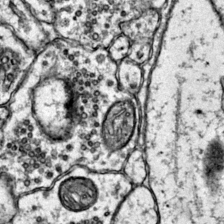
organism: Mouse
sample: Primary visual cortex